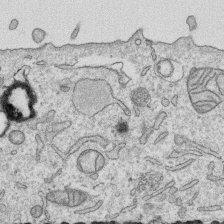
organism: Human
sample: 1205lu cells